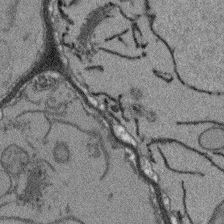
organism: Arabidopsis thaliana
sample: Root tip